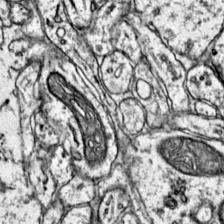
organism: Mouse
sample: Primary visual cortex